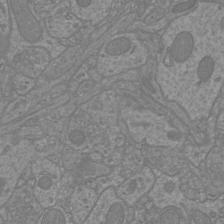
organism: Mouse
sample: Cortical neurons